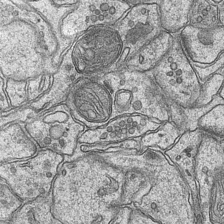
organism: Mouse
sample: CA1 Hippocampus